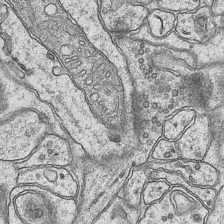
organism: Mouse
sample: CA1 Hippocampus